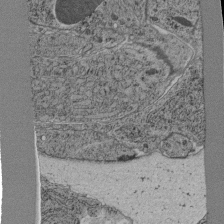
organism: C. elegans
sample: C. elegans pharynx